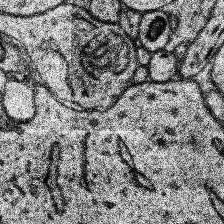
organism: Human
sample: Temporal Lobe